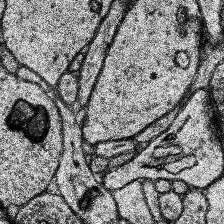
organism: Human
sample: Temporal Lobe